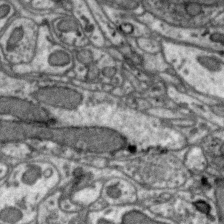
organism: Zebra finch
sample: Brain